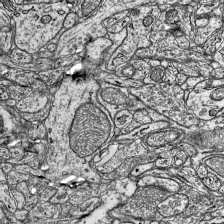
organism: Mouse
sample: Visual Cortex